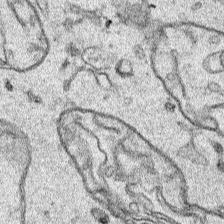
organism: Human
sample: Mitochondria in HCT116 cells